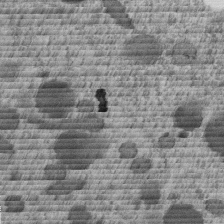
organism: C. elegans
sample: C. elegans embryo early stage